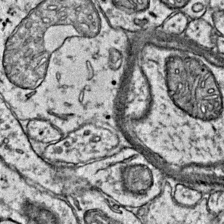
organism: Mouse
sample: Primary visual cortex